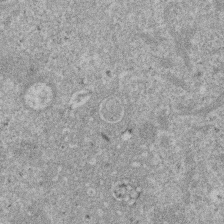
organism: Mouse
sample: Dividing mouse embryo 1 cell stage